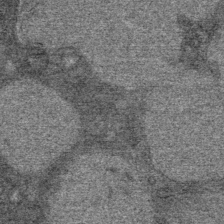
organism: Mouse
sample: Mouse Salivary gland